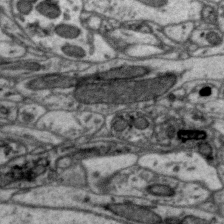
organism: Zebra finch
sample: Brain